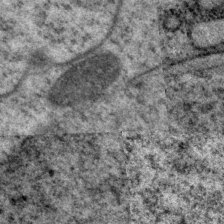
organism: P. pacificus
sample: Pharynx